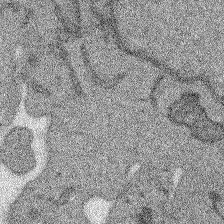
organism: Human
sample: HeLa cells